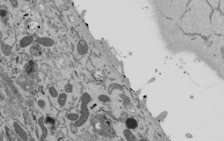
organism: Mouse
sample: ED-1 cell nuclei; centrioles